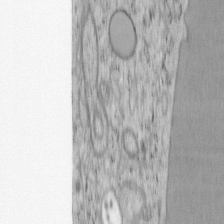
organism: Human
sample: HeLa cells